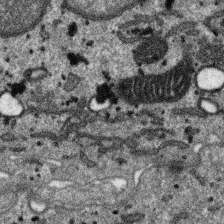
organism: Human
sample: Lung epithelial cells infected with SARS-CoV-2